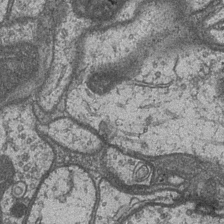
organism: Drosophila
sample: Optic medulla